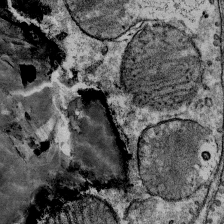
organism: Mouse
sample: Mouse Salivary gland